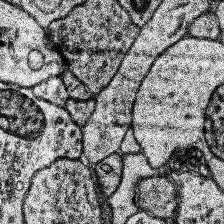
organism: Human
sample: Temporal Lobe